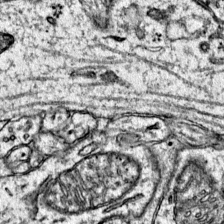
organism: Mouse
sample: Primary visual cortex